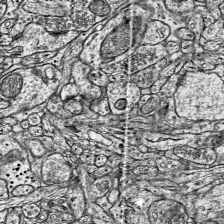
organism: Mouse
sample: Visual Cortex